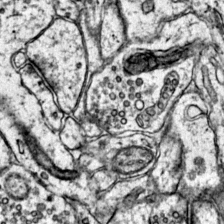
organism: Mouse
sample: Primary visual cortex